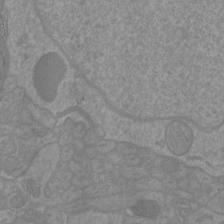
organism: Mouse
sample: Cortical neurons